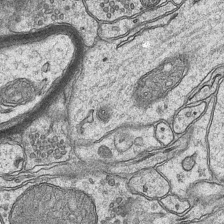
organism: Mouse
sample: CA1 Hippocampus